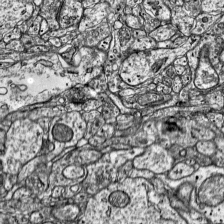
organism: Mouse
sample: Visual Cortex